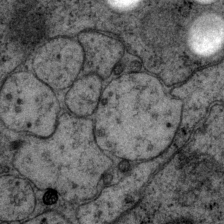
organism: P. pacificus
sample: Pharynx